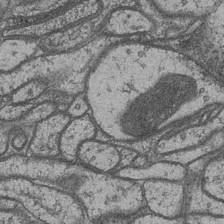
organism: Drosophila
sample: Optic medulla